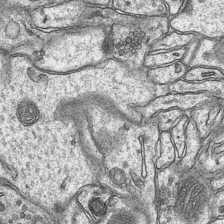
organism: Mouse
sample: CA1 Hippocampus